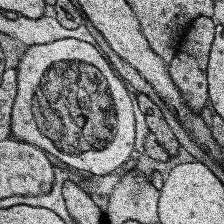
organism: Human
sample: Temporal Lobe